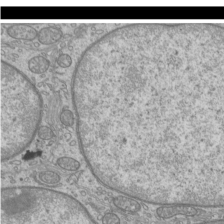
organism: Mouse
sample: Cilia; mouse epididymis